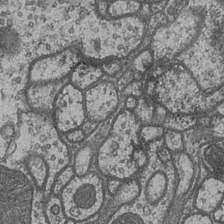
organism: Drosophila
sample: Optic medulla